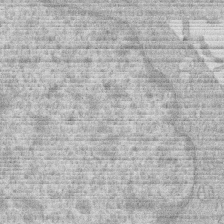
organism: Human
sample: Macrophage cells